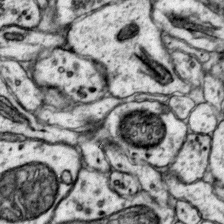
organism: Mouse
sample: Primary visual cortex